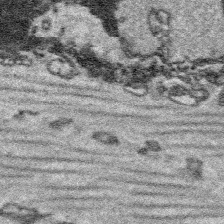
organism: Platynereis dumerilii